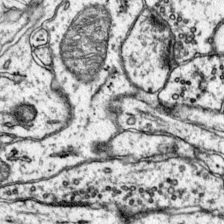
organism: Mouse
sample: Primary visual cortex